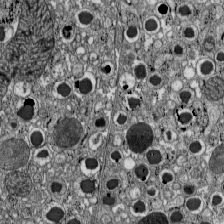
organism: C57BL Mouse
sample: Pancreatic islet